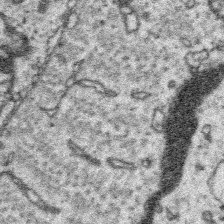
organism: Platynereis dumerilii